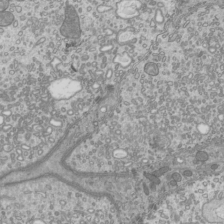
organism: Mouse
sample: Cilia; mouse epididymis